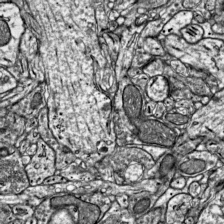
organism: Mouse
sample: Visual Cortex